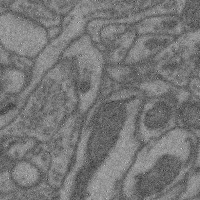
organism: Mouse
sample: Cerebral cortex